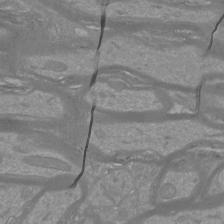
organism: Mouse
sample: Cortical neurons